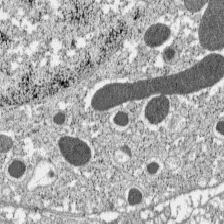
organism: C57BL Mouse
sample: Pancreatic islet